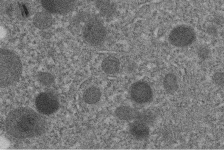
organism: C. elegans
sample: C. elegans embryo early stage